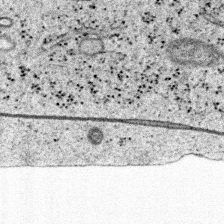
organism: Human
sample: HeLa cells